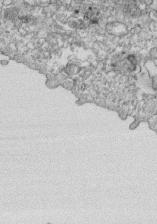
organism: Human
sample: HeLa cell HIV synapse